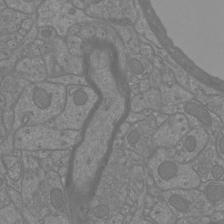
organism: Mouse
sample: Cortical neurons